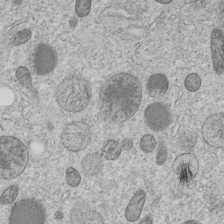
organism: C. elegans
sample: C. elegans embryo early stage